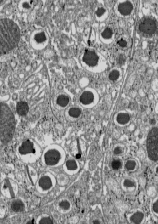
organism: C57BL Mouse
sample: Pancreatic islet